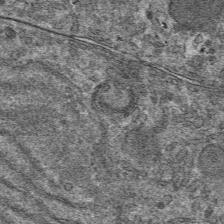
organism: Mouse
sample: Mouse hepatocytes